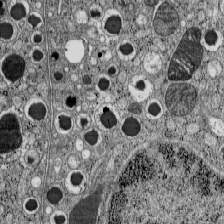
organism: C57BL Mouse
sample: Pancreatic islet